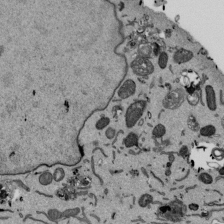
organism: Mouse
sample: ED-1 cell nuclei; centrioles